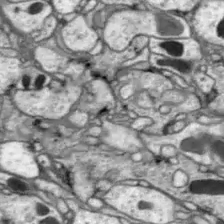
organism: Drosophila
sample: Optic lobe